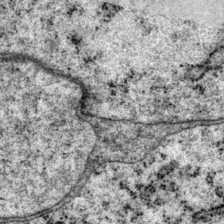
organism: P. pacificus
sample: Pharynx